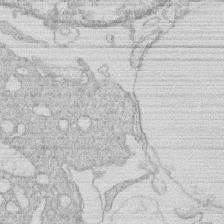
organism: Human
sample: Macrophage cells